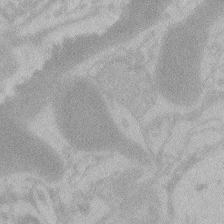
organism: Zebrafish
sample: Macrophage infected with Toxoplasma gondii